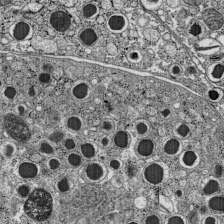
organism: C57BL Mouse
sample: Pancreatic islet